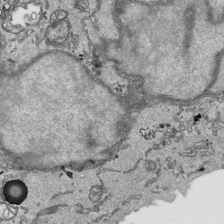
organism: Human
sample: Mitochondria in HCT116 cells